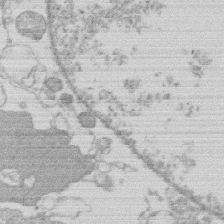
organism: Human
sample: Macrophage cells